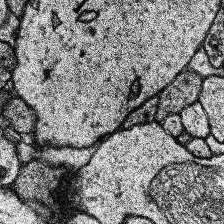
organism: Human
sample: Temporal Lobe